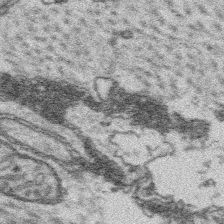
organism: Platynereis dumerilii